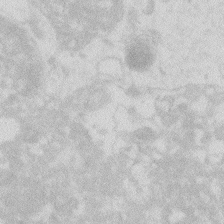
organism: Zebrafish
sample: Macrophage